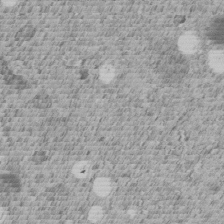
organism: C. elegans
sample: C. elegans embryo early stage